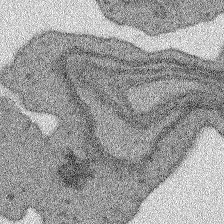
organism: Human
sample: HeLa cells